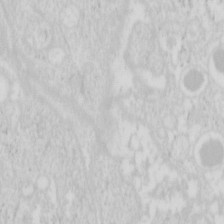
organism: Mouse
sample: Pancreas